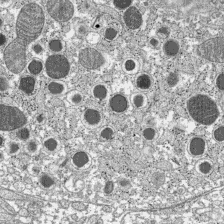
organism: C57BL Mouse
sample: Pancreatic islet